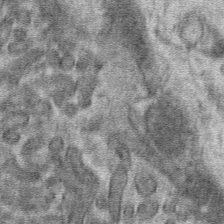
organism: Mouse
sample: Mouse hepatocytes